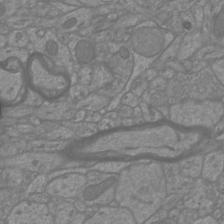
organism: Mouse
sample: Cortical neurons